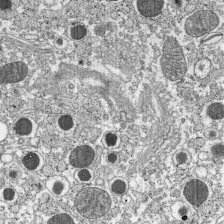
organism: C57BL Mouse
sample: Pancreatic islet